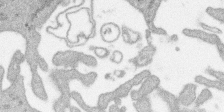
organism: Human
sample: Lung epithelial cells infected with SARS-CoV-2